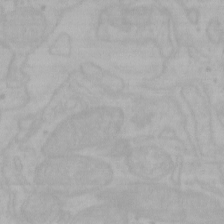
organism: Mouse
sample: Choroid plexus